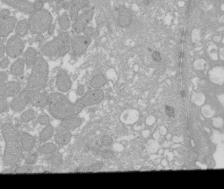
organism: Xenopus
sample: Cilia; centrioles in frog embryo cells